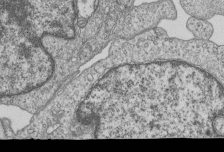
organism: Human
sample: MDA-MB-231 cells